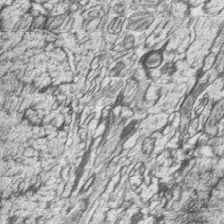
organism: Zebrafish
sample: synaptic ribbons in rod cells and cone cells